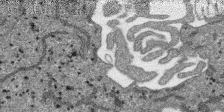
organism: Human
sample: Lung epithelial cells infected with SARS-CoV-2